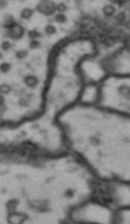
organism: Drosophila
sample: Brain